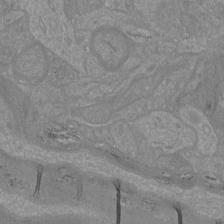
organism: Mouse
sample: Cortical neurons